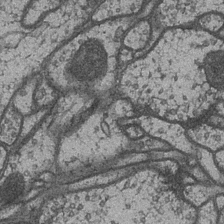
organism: Drosophila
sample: Optic medulla